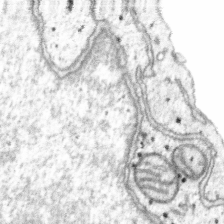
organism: Human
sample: HeLa cells